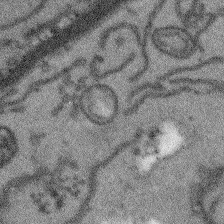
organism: Arabidopsis thaliana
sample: Root tip